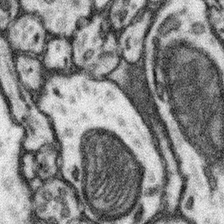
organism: Mouse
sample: Somatosensory cortex neuropil